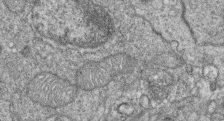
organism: Zebrafish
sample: Cilia; retinal pigment epithelium